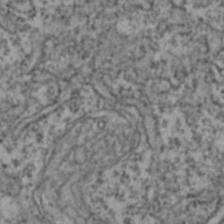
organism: Zebrafish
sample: Zebrafish embryo